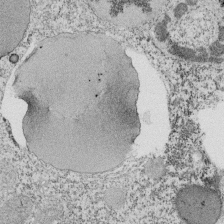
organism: Tetrahymena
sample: Cilia in tetrahymena